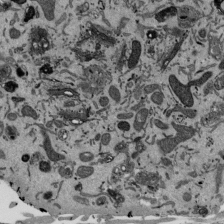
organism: Mouse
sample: ED-1 cell nuclei; centrioles